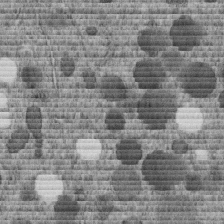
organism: C. elegans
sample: C. elegans embryo early stage